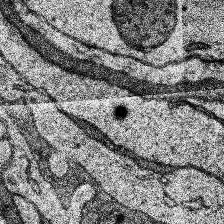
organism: Human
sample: Temporal Lobe